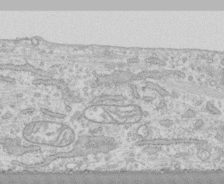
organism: Human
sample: CRL-1474